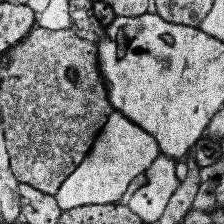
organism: Human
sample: Temporal Lobe